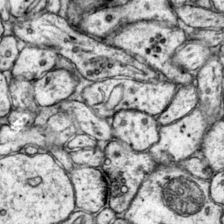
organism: Mouse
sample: Primary visual cortex